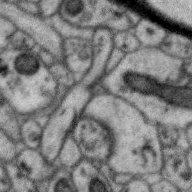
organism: Zebra finch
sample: Brain